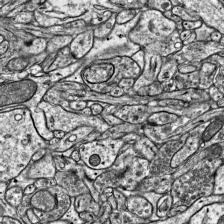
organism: Mouse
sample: Visual Cortex